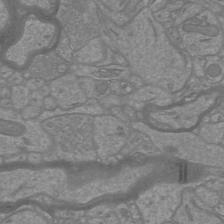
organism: Mouse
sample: Cortical neurons